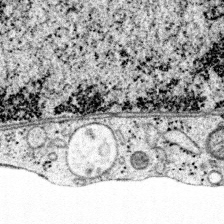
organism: Human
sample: HeLa cells